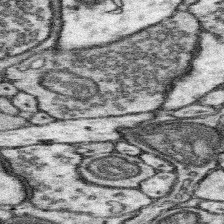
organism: Mouse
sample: Somatosensory cortex neuropil